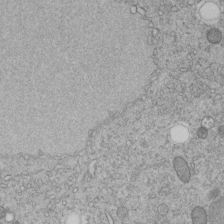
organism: C. elegans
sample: C. elegans embryo early stage